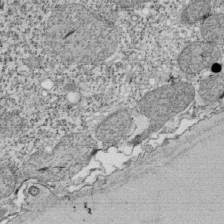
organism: Tetrahymena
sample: Cilia in tetrahymena